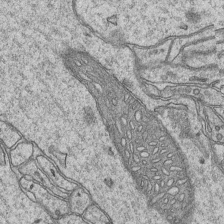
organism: Mouse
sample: CA1 Hippocampus